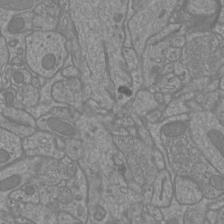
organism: Mouse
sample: Cortical neurons